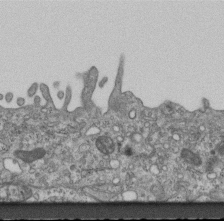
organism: Mouse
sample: Centriole in ependymal cells